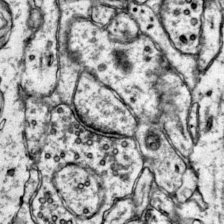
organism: Mouse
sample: Primary visual cortex